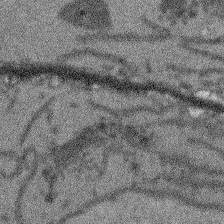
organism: Arabidopsis thaliana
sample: Root tip